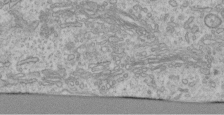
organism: Human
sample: Centriole in RPE cells